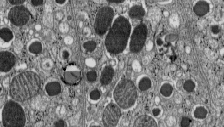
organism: C57BL Mouse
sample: Pancreatic islet